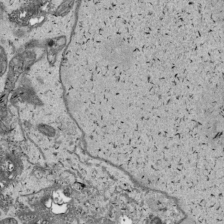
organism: Human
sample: Mitochondria in HCT116 cells